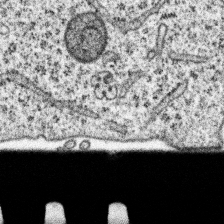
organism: Human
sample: HeLa cells